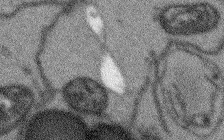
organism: Arabidopsis thaliana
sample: Root tip